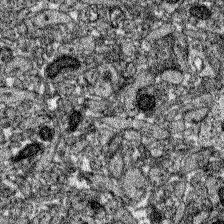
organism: Zebrafish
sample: Larval olfactory bulb